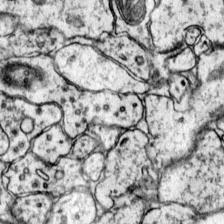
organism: Mouse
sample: Primary visual cortex